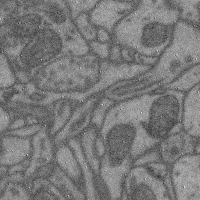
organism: Mouse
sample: Cerebral cortex